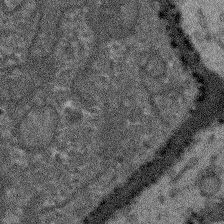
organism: Arabidopsis thaliana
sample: Root tip